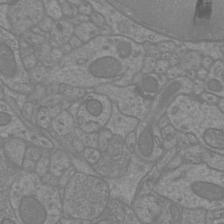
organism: Mouse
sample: Cortical neurons